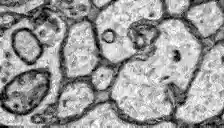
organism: Zebrafish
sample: Brain